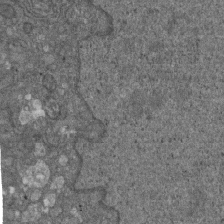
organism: Drosophila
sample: Nephrocyte